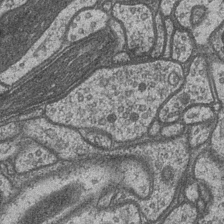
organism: Drosophila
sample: Optic medulla